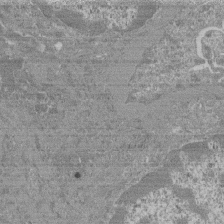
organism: Mouse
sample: Glomerulus